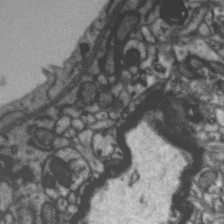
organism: Zebra finch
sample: Brain